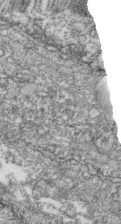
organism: Zebrafish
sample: Cilia; retinal pigment epithelium